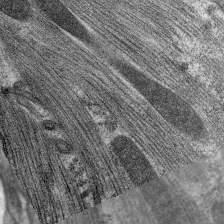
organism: C. elegans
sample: Pharynx